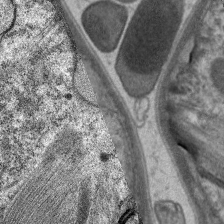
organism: C. elegans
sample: Pharynx